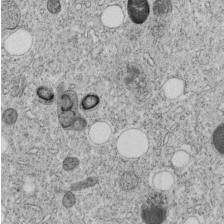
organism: C. elegans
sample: C. elegans embryo early stage